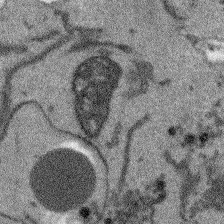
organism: Arabidopsis thaliana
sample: Root tip